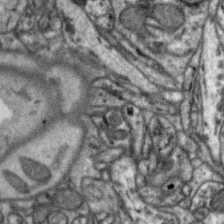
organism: Zebra finch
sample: Brain